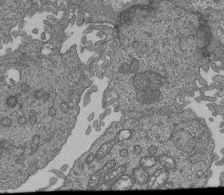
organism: Human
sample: Retinal organoid Rod and Cone cells